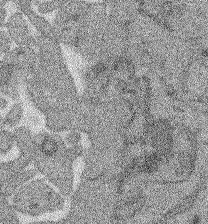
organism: Human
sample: HeLa cells